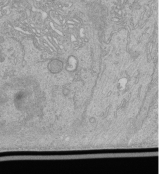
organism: Human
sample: Retinal organoid Rod and Cone cells